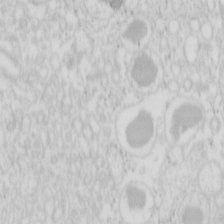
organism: Mouse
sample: Pancreas